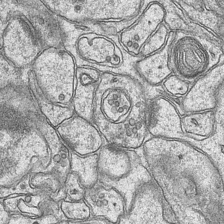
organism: Mouse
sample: CA1 Hippocampus